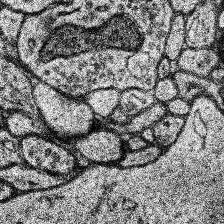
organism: Human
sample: Temporal Lobe